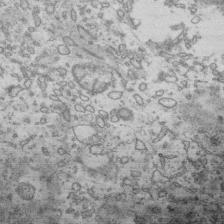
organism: Human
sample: Activated Jurkat CD4+ T cells